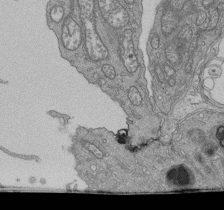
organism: Human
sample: Retinal organoid Rod and Cone cells